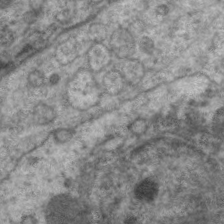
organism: C. elegans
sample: Pharynx